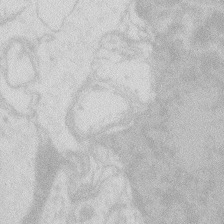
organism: Zebrafish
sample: Macrophage